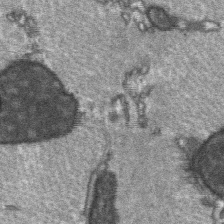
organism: C57BL Mouse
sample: Soleus